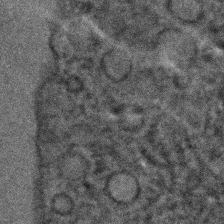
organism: C. elegans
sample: C. elegans embryo